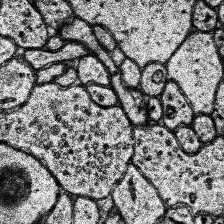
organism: Human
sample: Temporal Lobe